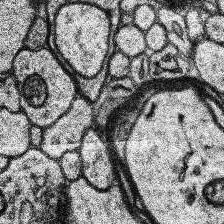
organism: Human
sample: Temporal Lobe